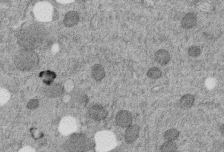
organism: C. elegans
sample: C. elegans embryo early stage